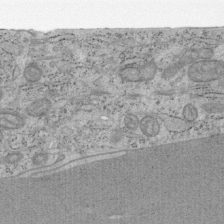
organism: Human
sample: HeLa cells